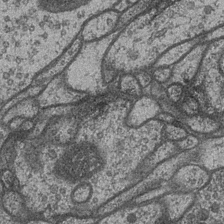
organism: Drosophila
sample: Optic medulla